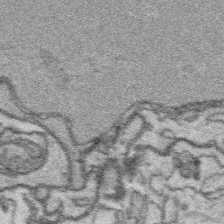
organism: Platynereis dumerilii